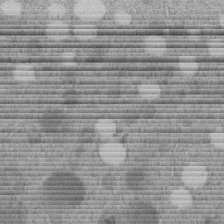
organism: C. elegans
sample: C. elegans embryo early stage